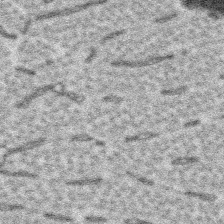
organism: Platynereis dumerilii